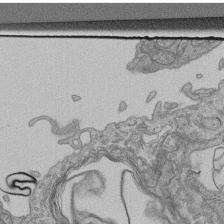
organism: Human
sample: Retinal organoid Rod and Cone cells